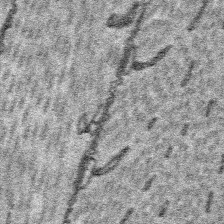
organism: Platynereis dumerilii